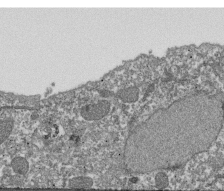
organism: Dictyostelium discoideum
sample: Dictyostelium multivesicular bodies